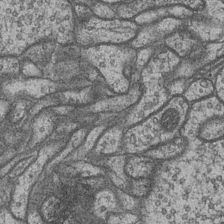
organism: Drosophila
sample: Optic medulla